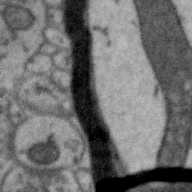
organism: Zebra finch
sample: Brain